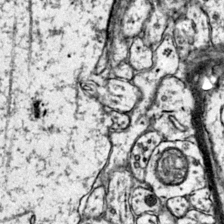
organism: Mouse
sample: Primary visual cortex